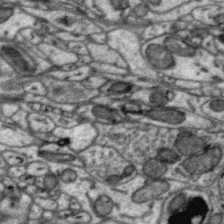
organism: Zebra finch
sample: Brain